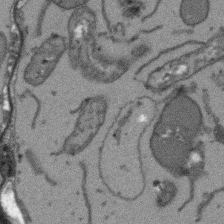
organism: Arabidopsis thaliana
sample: Root tip